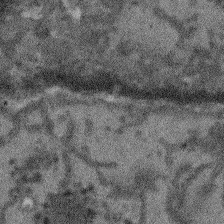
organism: Arabidopsis thaliana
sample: Root tip